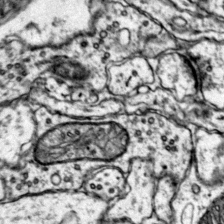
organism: Mouse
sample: Primary visual cortex